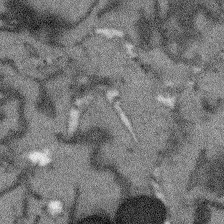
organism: Arabidopsis thaliana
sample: Root tip